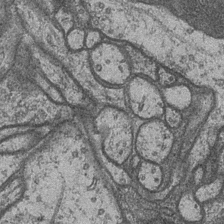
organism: Drosophila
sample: Optic medulla